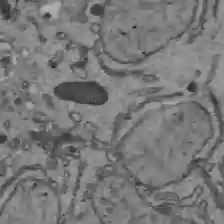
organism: C57BL Mouse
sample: Liver